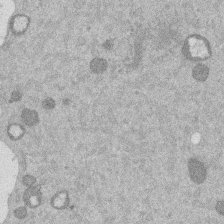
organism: Mouse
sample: Dividing mouse embryo 1 cell stage